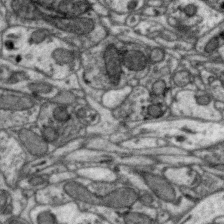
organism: Zebra finch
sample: Brain